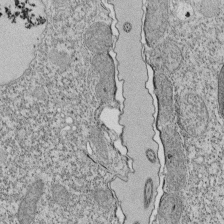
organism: Tetrahymena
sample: Cilia in tetrahymena